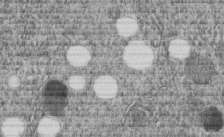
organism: C. elegans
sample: C. elegans embryo early stage